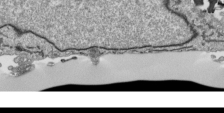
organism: Human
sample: Mitochondria in HCT116 cells